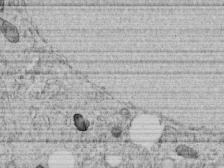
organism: C. elegans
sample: C. elegans embryo early stage